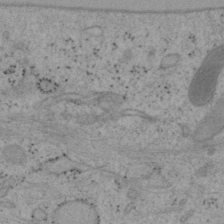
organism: Human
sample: HeLa cells